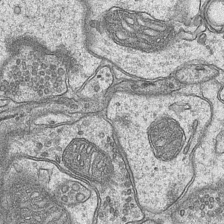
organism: Mouse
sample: CA1 Hippocampus